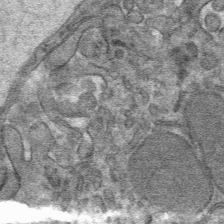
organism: Mouse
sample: Mouse hepatocytes